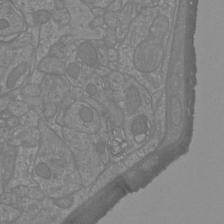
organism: Mouse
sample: Cortical neurons